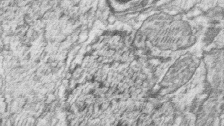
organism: Zebrafish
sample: synaptic ribbons in rod cells and cone cells